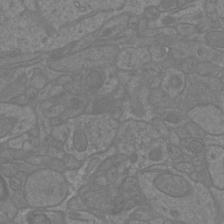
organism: Mouse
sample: Cortical neurons